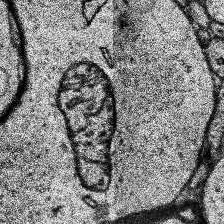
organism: Human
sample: Temporal Lobe